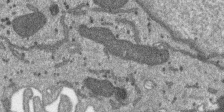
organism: Human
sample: Lung epithelial cells infected with SARS-CoV-2